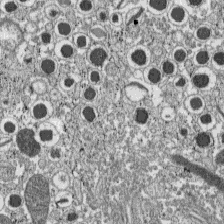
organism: C57BL Mouse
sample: Pancreatic islet